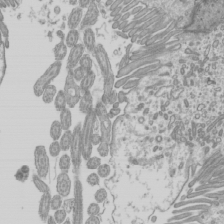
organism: Mouse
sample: Cilia; mouse epididymis